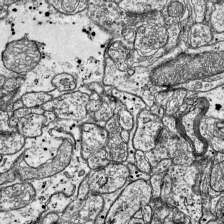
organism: Mouse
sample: Visual Cortex